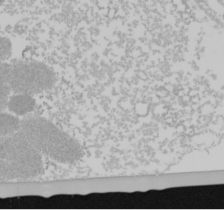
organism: Mouse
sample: Cancer cell death in ED-1 cells